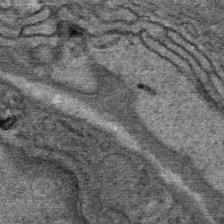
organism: Mouse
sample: Mouse Salivary gland